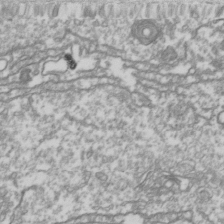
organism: Drosophila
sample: Cell division; meiosis; drosophila spermatocytes